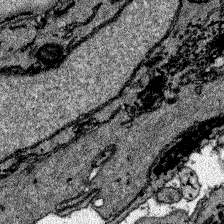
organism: Zebrafish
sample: Larval olfactory bulb